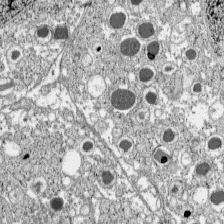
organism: C57BL Mouse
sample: Pancreatic islet